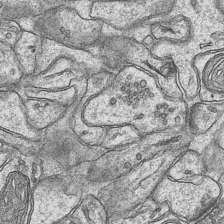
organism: Mouse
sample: CA1 Hippocampus